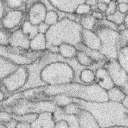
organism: Rabbit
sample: Retina